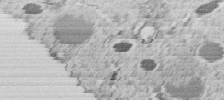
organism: C. elegans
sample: C. elegans embryo early stage